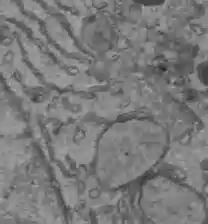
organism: C57BL Mouse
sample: Liver